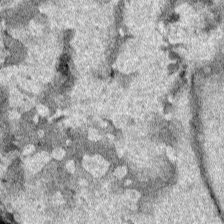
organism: Human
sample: Mitochondria in HCT116 cells